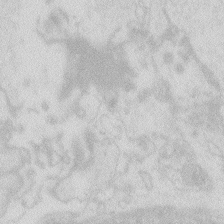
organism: Zebrafish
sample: Macrophage